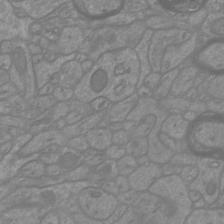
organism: Mouse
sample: Cortical neurons